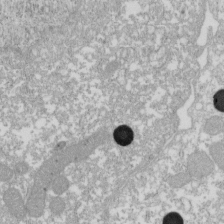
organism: Xenopus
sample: Cilia; centrioles in frog embryo cells